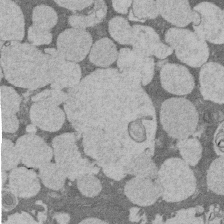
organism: Rat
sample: Salivary granule